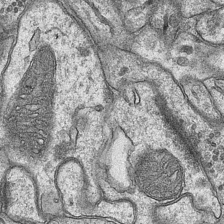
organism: Mouse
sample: CA1 Hippocampus